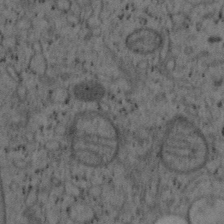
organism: Human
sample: HeLa cells